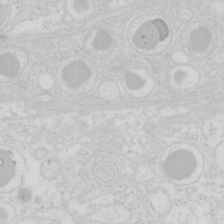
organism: Mouse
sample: Pancreas